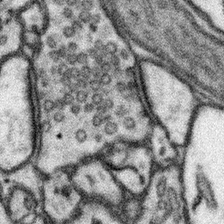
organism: Mouse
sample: Somatosensory cortex neuropil